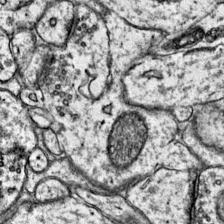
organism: Mouse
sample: Primary visual cortex